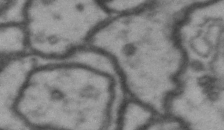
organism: Drosophila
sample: Brain